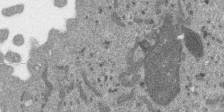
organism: Human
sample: Lung epithelial cells infected with SARS-CoV-2